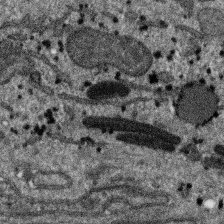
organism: Human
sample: Lung epithelial cells infected with SARS-CoV-2